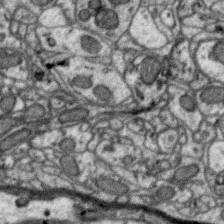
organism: Zebra finch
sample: Brain